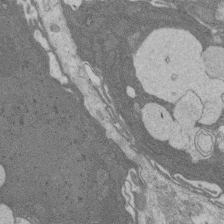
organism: Rat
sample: Salivary granule